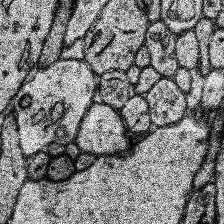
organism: Human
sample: Temporal Lobe